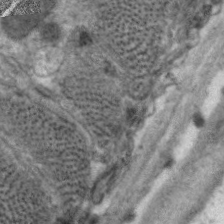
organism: C. elegans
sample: Pharynx